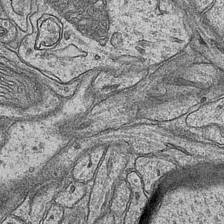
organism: Mouse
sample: CA1 Hippocampus